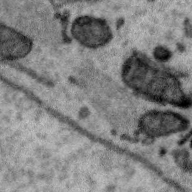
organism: Zebra finch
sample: Brain